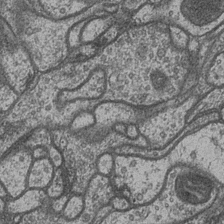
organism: Drosophila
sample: Optic medulla